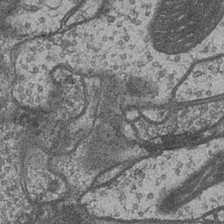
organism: Drosophila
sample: Optic medulla